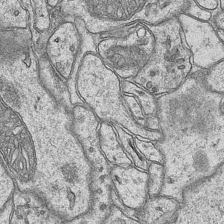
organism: Mouse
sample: CA1 Hippocampus